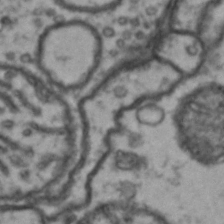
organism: Drosophila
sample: Brain